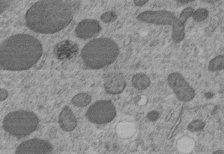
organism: C. elegans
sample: C. elegans embryo early stage